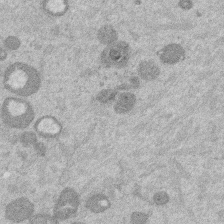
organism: Mouse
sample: Dividing mouse embryo 1 cell stage